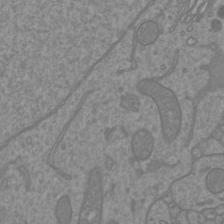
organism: Mouse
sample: Cortical neurons